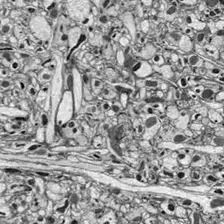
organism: Drosophila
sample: Optic lobe